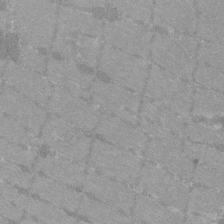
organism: C57BL Mouse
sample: Tibialis anterior muscle cell